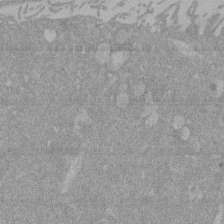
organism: Mouse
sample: ED-1 cell nuclei; centrioles